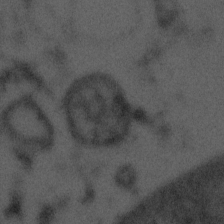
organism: Tuwongella immobilis